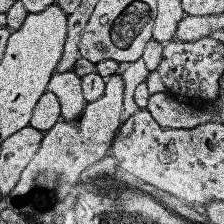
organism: Human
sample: Temporal Lobe